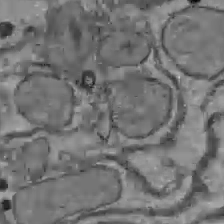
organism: C57BL Mouse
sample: Liver